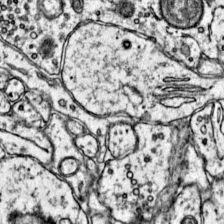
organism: Mouse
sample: Primary visual cortex